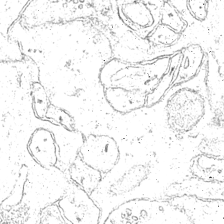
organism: Mouse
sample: CA1 Hippocampus